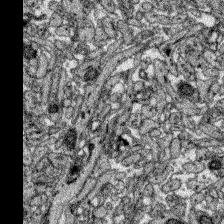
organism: Zebrafish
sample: Larval olfactory bulb